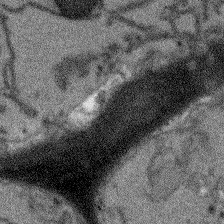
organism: Arabidopsis thaliana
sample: Root tip